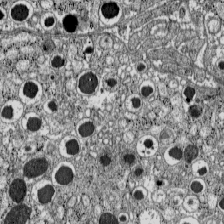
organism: C57BL Mouse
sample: Pancreatic islet